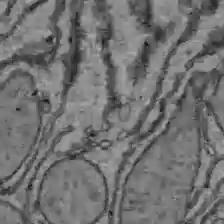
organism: C57BL Mouse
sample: Liver